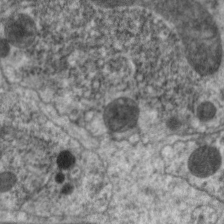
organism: C. elegans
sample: Pharynx